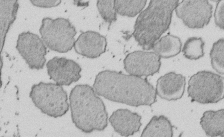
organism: E. coli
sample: Bacterial nucleoid